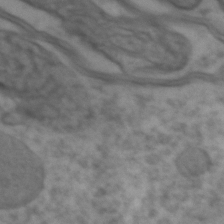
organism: Zebrafish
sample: Zebrafish embryo